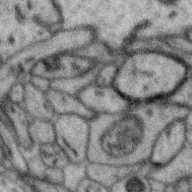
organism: Zebra finch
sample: Brain